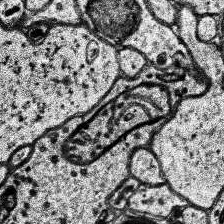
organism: Human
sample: Temporal Lobe